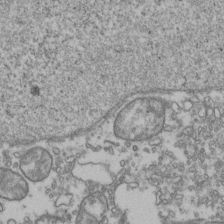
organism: Human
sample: Activated Jurkat CD4+ T cells